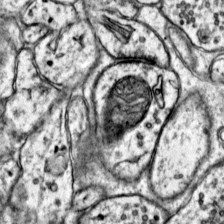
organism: Mouse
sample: Primary visual cortex